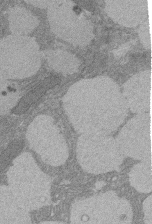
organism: Rat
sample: Salivary granule